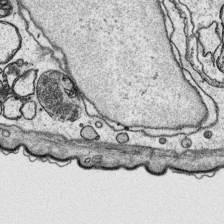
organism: Platynereis dumerilii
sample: Parapodia